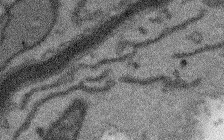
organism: Arabidopsis thaliana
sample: Root tip